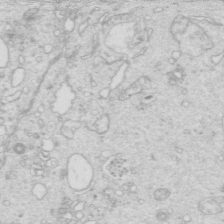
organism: Mouse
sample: Multiciliated cells